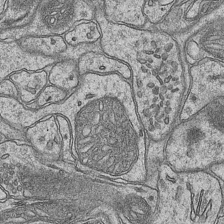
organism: Mouse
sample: CA1 Hippocampus